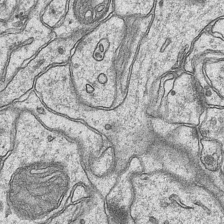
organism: Mouse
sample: CA1 Hippocampus